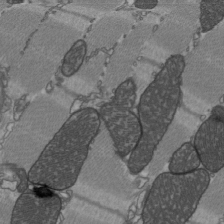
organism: C57BL Mouse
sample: Heart